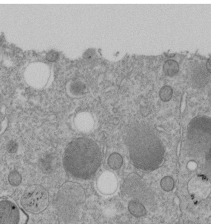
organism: C. elegans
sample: C. elegans embryo early stage